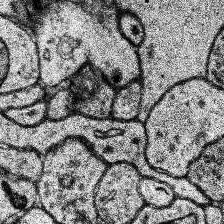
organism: Human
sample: Temporal Lobe